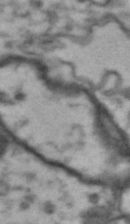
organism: Drosophila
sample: Brain